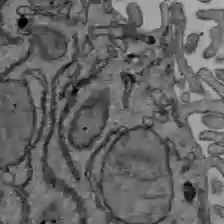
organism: C57BL Mouse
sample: Liver